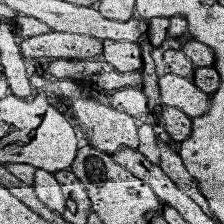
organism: Human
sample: Temporal Lobe